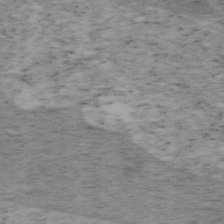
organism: Mouse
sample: OT-I killer T cells with ID8 ovarian cancer cells